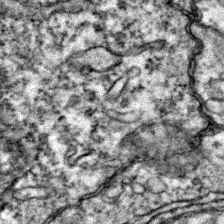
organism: Zebrafish